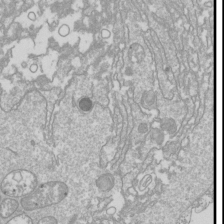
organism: Drosophila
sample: Cell division; meiosis; drosophila spermatocytes